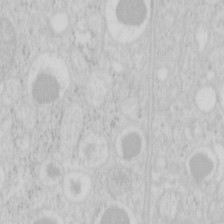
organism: Mouse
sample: Pancreas